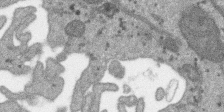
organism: Human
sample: Lung epithelial cells infected with SARS-CoV-2